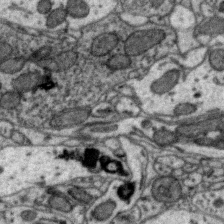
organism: Zebra finch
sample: Brain